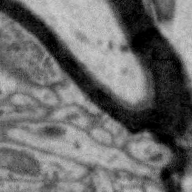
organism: Zebra finch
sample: Brain